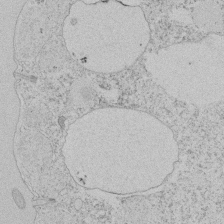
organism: Tetrahymena